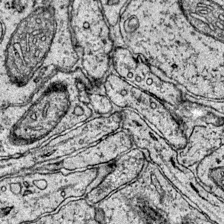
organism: Mouse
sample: Primary visual cortex